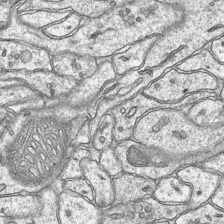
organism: Mouse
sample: CA1 Hippocampus